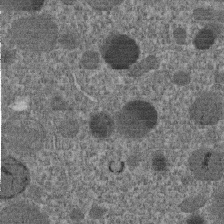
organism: C. elegans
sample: C. elegans embryo early stage